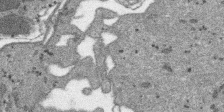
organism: Human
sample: Lung epithelial cells infected with SARS-CoV-2